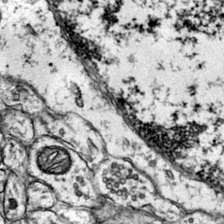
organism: Mouse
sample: Primary visual cortex